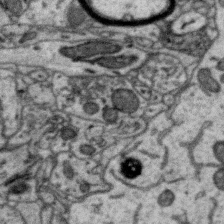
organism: Zebra finch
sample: Brain